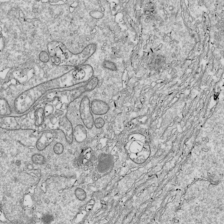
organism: Drosophila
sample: Cell division; meiosis; drosophila spermatocytes